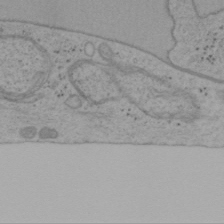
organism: Human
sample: HeLa cells